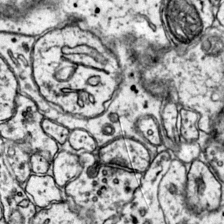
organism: Mouse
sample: Primary visual cortex